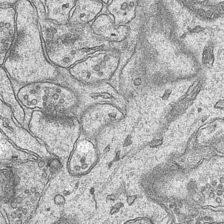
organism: Mouse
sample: CA1 Hippocampus